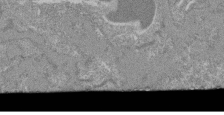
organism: Mouse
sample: Glomerulus